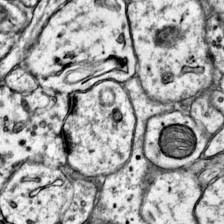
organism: Mouse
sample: Primary visual cortex